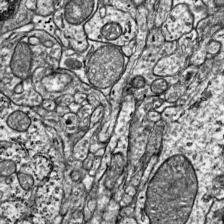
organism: Mouse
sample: Visual Cortex